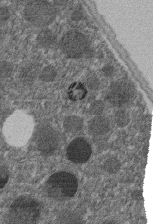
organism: C. elegans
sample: C. elegans embryo early stage